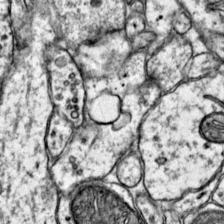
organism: Mouse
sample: Primary visual cortex